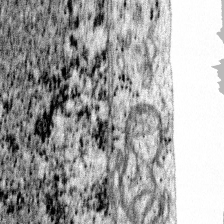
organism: Human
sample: HeLa cells